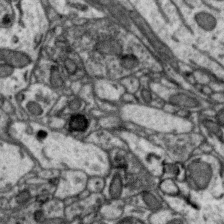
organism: Zebra finch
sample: Brain